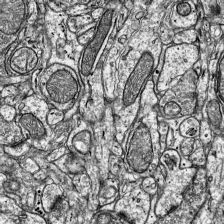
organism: Mouse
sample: Visual Cortex